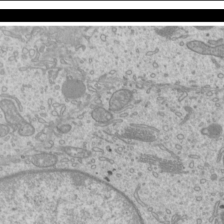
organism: Mouse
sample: Cilia; mouse epididymis